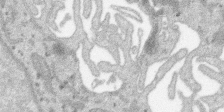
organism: Human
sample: Lung epithelial cells infected with SARS-CoV-2